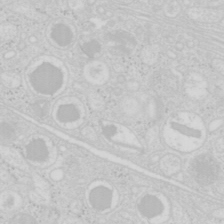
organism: Mouse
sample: Pancreas